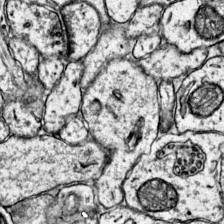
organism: Mouse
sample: Primary visual cortex